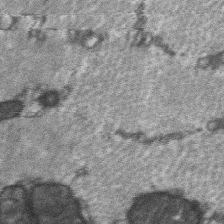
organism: C57BL Mouse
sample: Soleus